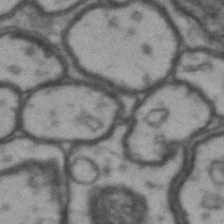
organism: Drosophila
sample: Brain